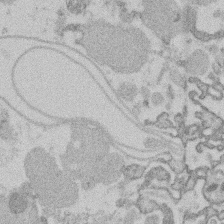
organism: Mouse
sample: Dividing mouse embryo 1 cell stage